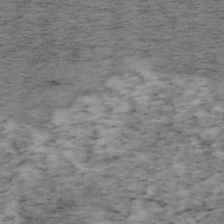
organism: Mouse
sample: OT-I killer T cells with ID8 ovarian cancer cells